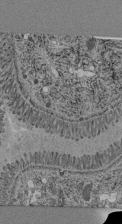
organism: C. elegans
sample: C. elegans pharynx